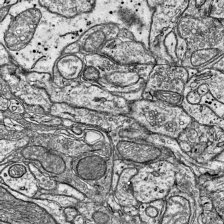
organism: Mouse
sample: Visual Cortex